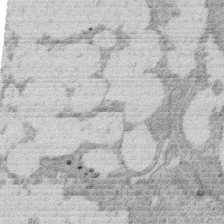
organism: Rat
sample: Salivary granule